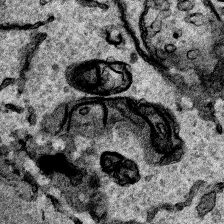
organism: Human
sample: Mitochondria in HCT116 cells